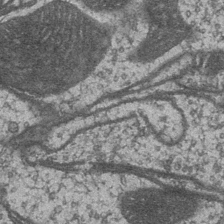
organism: Drosophila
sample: Optic medulla